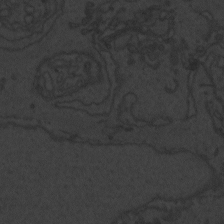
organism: Zebrafish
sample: Macrophage infected with Toxoplasma gondii